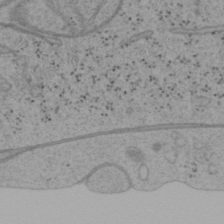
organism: Human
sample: HeLa cells